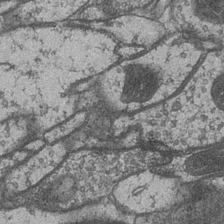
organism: Drosophila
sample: Optic medulla